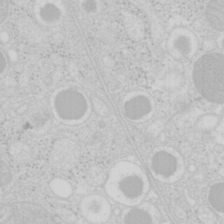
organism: Mouse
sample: Pancreas